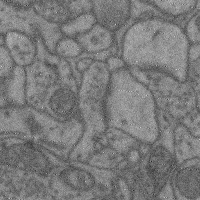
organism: Mouse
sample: Cerebral cortex